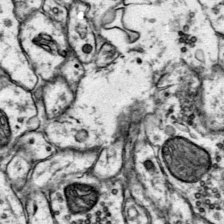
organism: Mouse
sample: Primary visual cortex